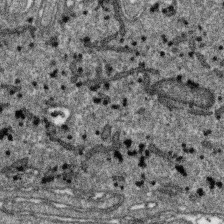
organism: Human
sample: Lung epithelial cells infected with SARS-CoV-2